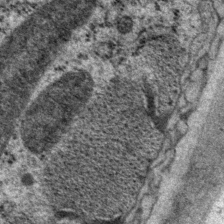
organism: P. pacificus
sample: Pharynx